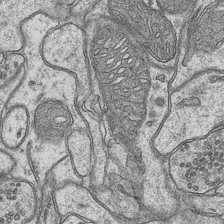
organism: Mouse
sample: CA1 Hippocampus